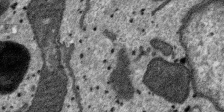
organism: Human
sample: Lung epithelial cells, uninfected (mock) control